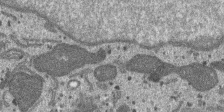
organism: Human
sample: Lung epithelial cells infected with SARS-CoV-2